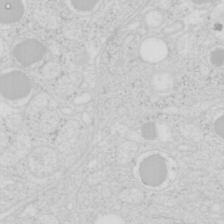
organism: Mouse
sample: Pancreas